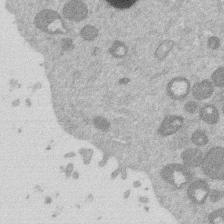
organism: Mouse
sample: Dividing mouse embryo 1 cell stage